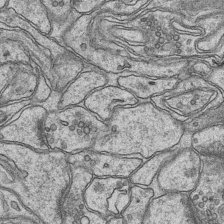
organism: Mouse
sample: CA1 Hippocampus